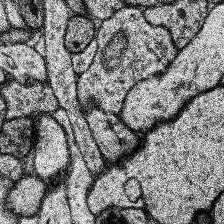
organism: Human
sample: Temporal Lobe